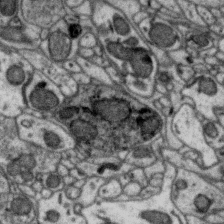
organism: Zebra finch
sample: Brain